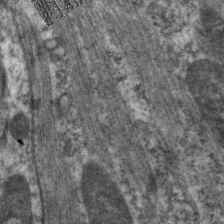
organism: C. elegans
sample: Pharynx